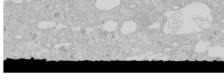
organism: Human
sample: Caco-2 cells